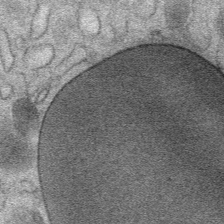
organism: Mouse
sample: Mouse Salivary gland